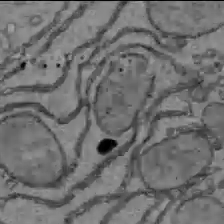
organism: C57BL Mouse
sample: Liver